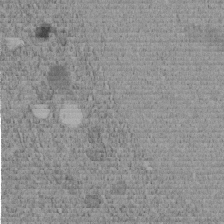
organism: C. elegans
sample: C. elegans embryo early stage